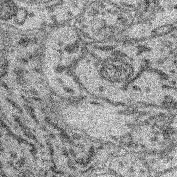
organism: Mouse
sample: Retina